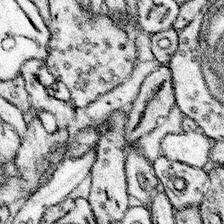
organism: Mouse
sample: Somatosensory cortex neuropil